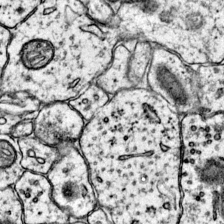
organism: Mouse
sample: Primary visual cortex